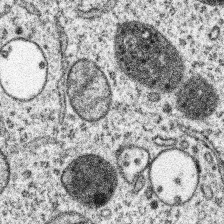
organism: Human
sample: HeLa cells